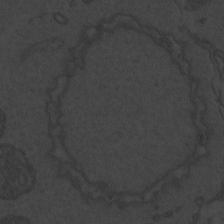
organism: Zebrafish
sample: Macrophage infected with Toxoplasma gondii